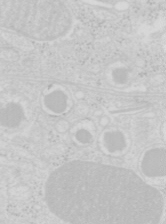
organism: Mouse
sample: Pancreas